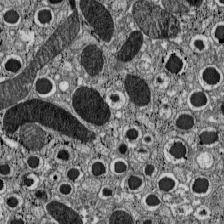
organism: C57BL Mouse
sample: Pancreatic islet